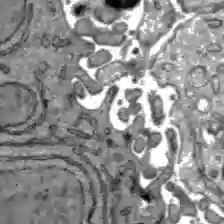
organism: C57BL Mouse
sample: Liver